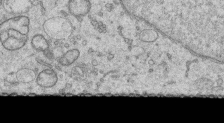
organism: Human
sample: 1205lu cells